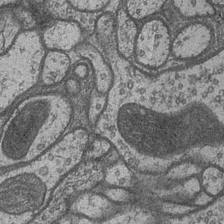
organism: Drosophila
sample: Optic medulla